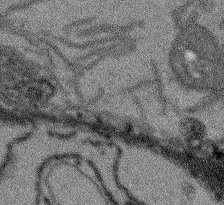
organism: Arabidopsis thaliana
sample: Root tip